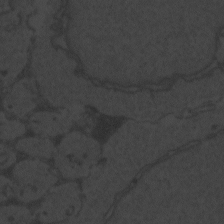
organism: Zebrafish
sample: Macrophage infected with Toxoplasma gondii